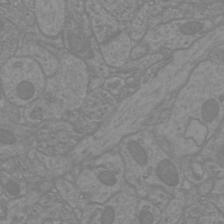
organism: Mouse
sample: Cortical neurons